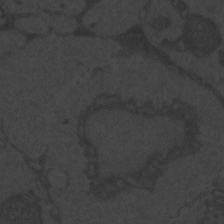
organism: Zebrafish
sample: Macrophage infected with Toxoplasma gondii